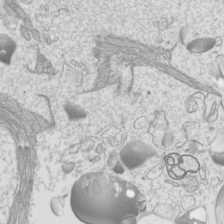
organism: Mouse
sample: Cilia; mouse epididymis